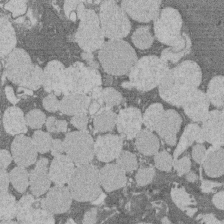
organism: Rat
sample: Salivary granule